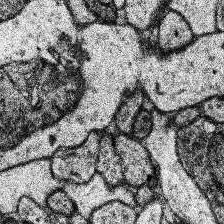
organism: Human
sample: Temporal Lobe